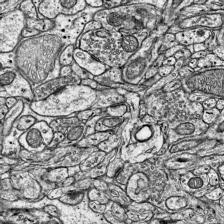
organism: Mouse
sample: Visual Cortex